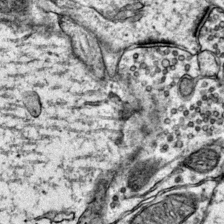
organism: Mouse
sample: Primary visual cortex